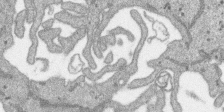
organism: Human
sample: Lung epithelial cells infected with SARS-CoV-2